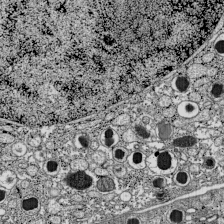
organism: C57BL Mouse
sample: Pancreatic islet